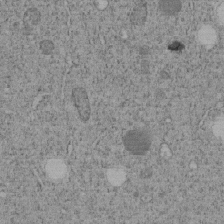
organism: C. elegans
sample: C. elegans embryo early stage